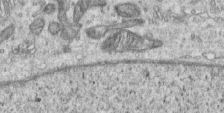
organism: Human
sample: Centriole in RPE cells